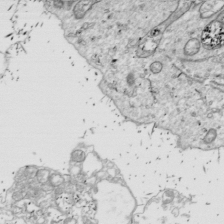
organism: Drosophila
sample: Cell division; meiosis; drosophila spermatocytes